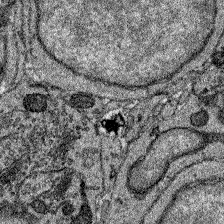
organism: Zebrafish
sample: Larval olfactory bulb